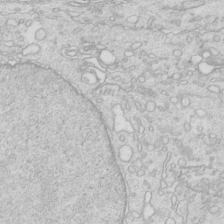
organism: Mouse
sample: Multiciliated cells